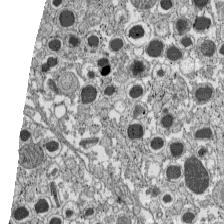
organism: C57BL Mouse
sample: Pancreatic islet